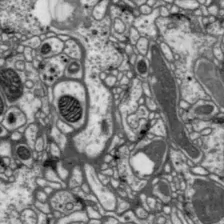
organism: Drosophila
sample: Protocerebral bridge